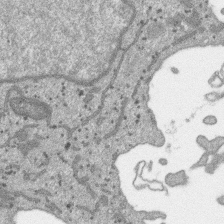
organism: Human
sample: Lung epithelial cells infected with SARS-CoV-2